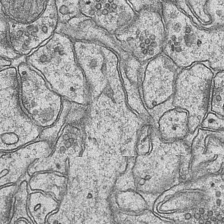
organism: Mouse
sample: CA1 Hippocampus